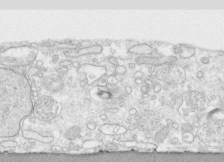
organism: Human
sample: CRL-1474